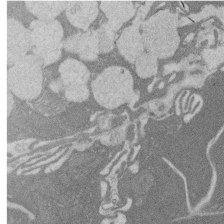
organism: Rat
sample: Salivary granule